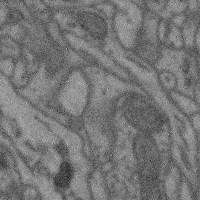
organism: Mouse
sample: Cerebral cortex